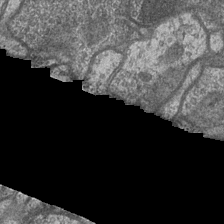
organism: Drosophila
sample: Optic medulla